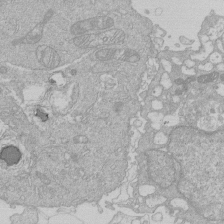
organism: Human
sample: Macrophage cells